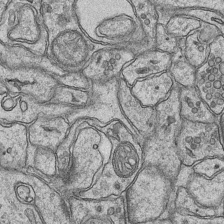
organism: Mouse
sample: CA1 Hippocampus